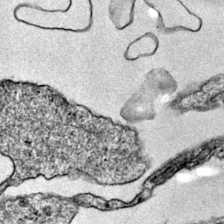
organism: Mouse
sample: Primary visual cortex